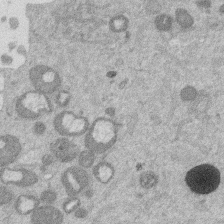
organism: Mouse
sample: Dividing mouse embryo 1 cell stage